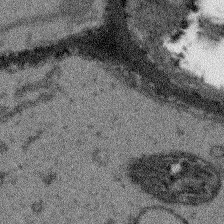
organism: Arabidopsis thaliana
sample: Root tip